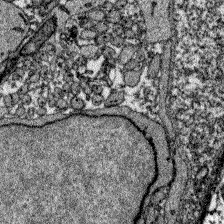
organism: Zebrafish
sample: Larval olfactory bulb